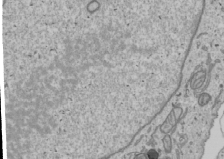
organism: Human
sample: Mitochondria in U2OS cells